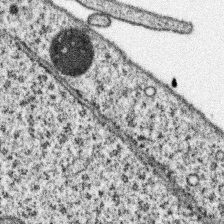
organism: Human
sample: HeLa cells